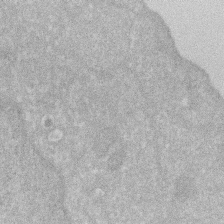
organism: Human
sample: HIV infected U937 cells